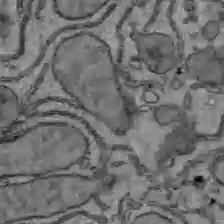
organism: C57BL Mouse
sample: Liver